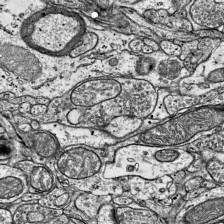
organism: Mouse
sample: Visual Cortex